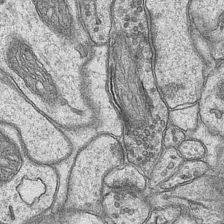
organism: Mouse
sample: CA1 Hippocampus